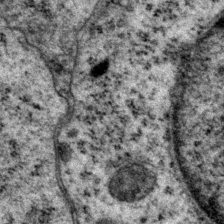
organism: P. pacificus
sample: Pharynx